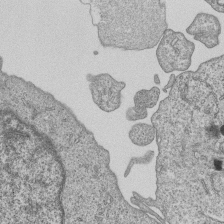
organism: Human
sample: MDA-MB-231 cells